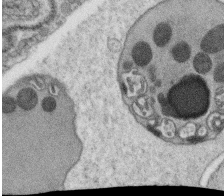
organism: C. elegans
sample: C. elegans oocyte; sperm cells